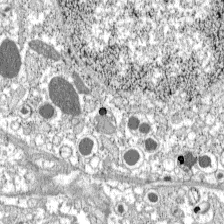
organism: C57BL Mouse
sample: Pancreatic islet